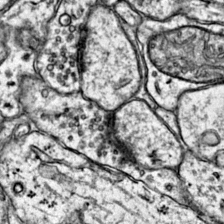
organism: Mouse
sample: Primary visual cortex